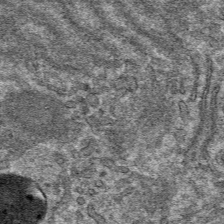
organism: Mouse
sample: Mouse hepatocytes